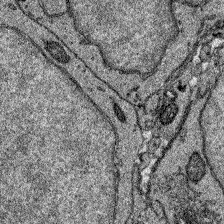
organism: Zebrafish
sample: Larval olfactory bulb